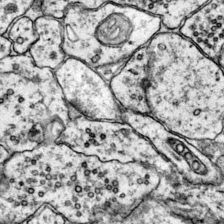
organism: Mouse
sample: Primary visual cortex